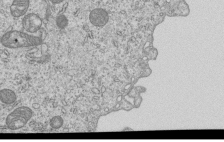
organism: Human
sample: MDA-MB-231 cells